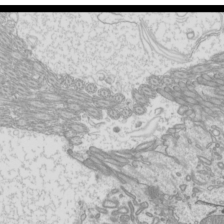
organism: Mouse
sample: Cilia; mouse epididymis